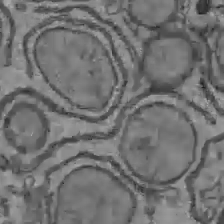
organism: C57BL Mouse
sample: Liver